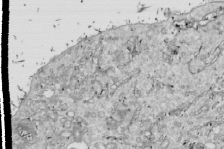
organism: Drosophila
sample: Cell division; meiosis; drosophila spermatocytes